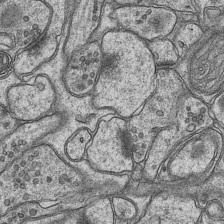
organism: Mouse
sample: CA1 Hippocampus